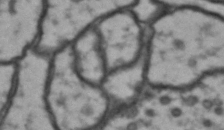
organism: Drosophila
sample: Brain